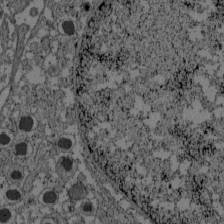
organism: C57BL Mouse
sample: Pancreatic islet